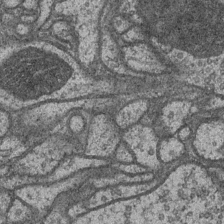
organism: Drosophila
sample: Optic medulla